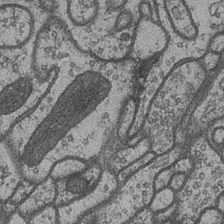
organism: Drosophila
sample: Optic medulla